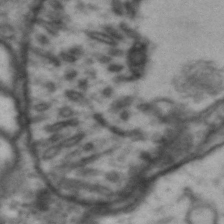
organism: Drosophila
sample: Brain